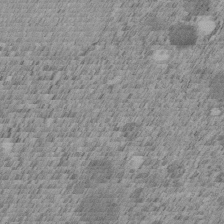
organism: C. elegans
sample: C. elegans embryo early stage